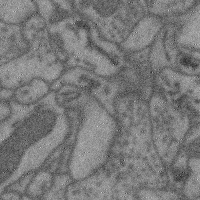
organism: Mouse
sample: Cerebral cortex